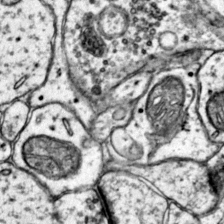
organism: Mouse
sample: Primary visual cortex